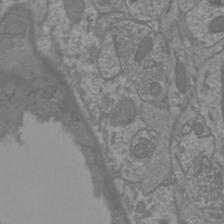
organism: Mouse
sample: Cortical neurons